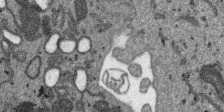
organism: Human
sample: Lung epithelial cells infected with SARS-CoV-2